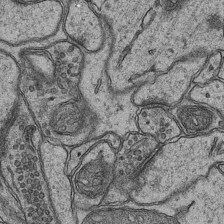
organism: Mouse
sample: CA1 Hippocampus